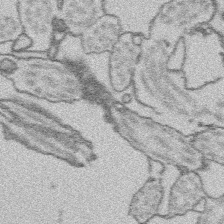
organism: Platynereis dumerilii